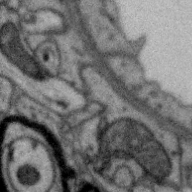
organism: Zebra finch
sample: Brain